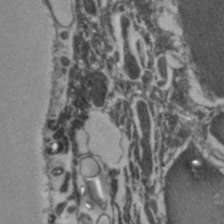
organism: Zebrafish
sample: Zebrafish embryo